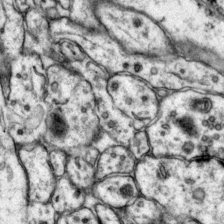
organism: Mouse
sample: Primary visual cortex